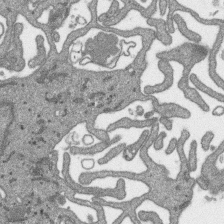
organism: Human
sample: Lung epithelial cells infected with SARS-CoV-2